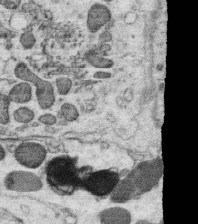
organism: C. elegans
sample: C. elegans oocyte; sperm cells